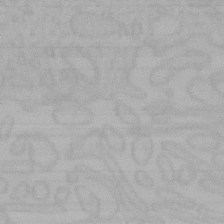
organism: Mouse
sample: Choroid plexus